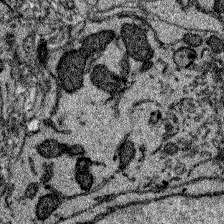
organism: Zebrafish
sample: Larval olfactory bulb